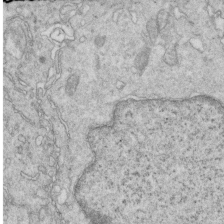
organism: Mouse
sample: Multiciliated cells